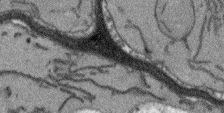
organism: Arabidopsis thaliana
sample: Root tip